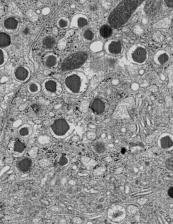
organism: C57BL Mouse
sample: Pancreatic islet